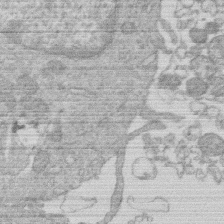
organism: Human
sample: Macrophage cells